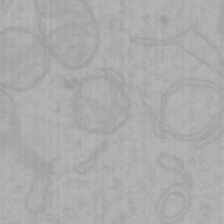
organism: Mouse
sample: Choroid plexus